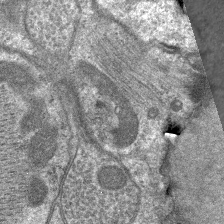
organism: C. elegans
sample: Pharynx